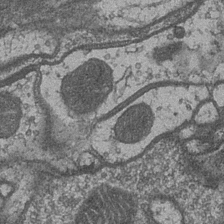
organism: Drosophila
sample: Optic medulla